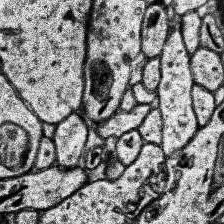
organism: Human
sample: Temporal Lobe